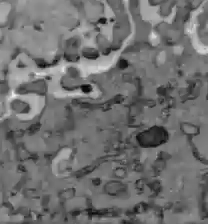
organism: C57BL Mouse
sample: Liver